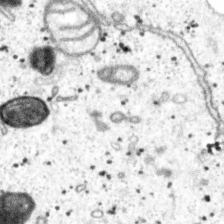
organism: Human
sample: HeLa cells